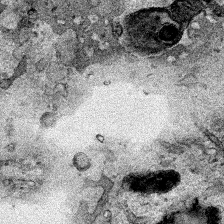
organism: Human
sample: Mitochondria in HCT116 cells